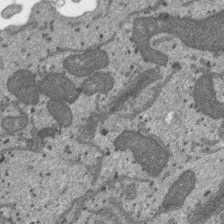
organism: Human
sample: Lung epithelial cells infected with SARS-CoV-2